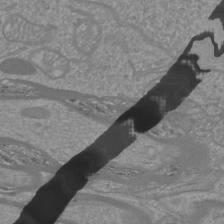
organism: Mouse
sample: Cortical neurons